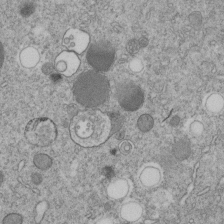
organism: C. elegans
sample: C. elegans embryo early stage